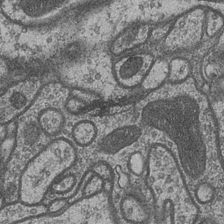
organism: Drosophila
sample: Optic medulla